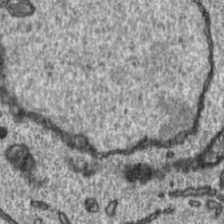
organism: Toxoplasma gondii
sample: Parasites in a vacuole inside a host cell